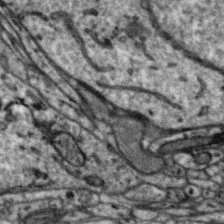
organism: Zebra finch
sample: Brain